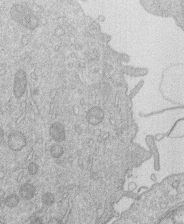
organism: Human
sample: Macrophage cells